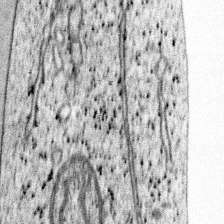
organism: Human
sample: HeLa cells